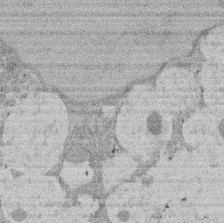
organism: Rat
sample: Salivary granule